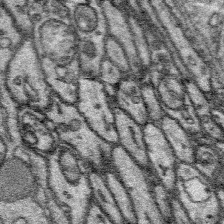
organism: Platynereis dumerilii